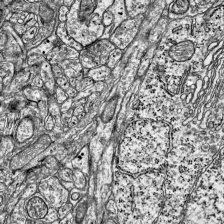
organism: Mouse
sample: Visual Cortex